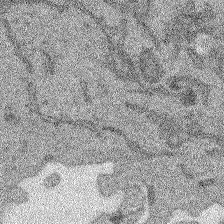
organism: Human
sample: HeLa cells